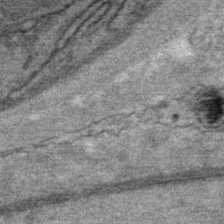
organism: Mouse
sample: Mouse Salivary gland